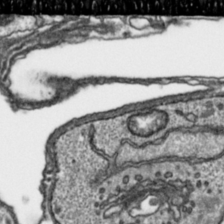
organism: Toxoplasma gondii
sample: Parasites in a vacuole inside a host cell